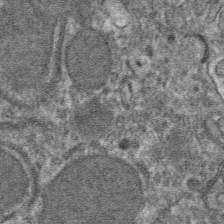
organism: Mouse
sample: Mouse hepatocytes